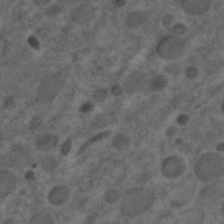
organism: C. elegans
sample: C. elegans embryo